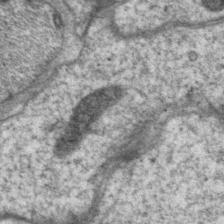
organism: P. pacificus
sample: Pharynx